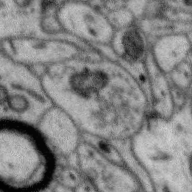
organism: Zebra finch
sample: Brain